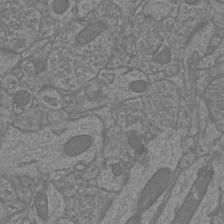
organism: Mouse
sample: Cortical neurons